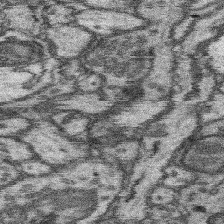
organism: Mouse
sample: Somatosensory cortex neuropil